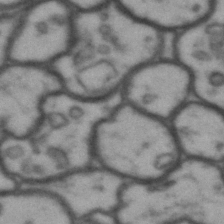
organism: Drosophila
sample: Brain